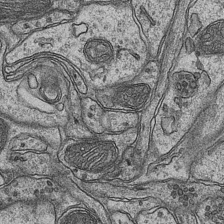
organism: Mouse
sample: CA1 Hippocampus